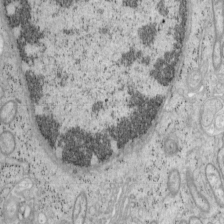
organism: Mouse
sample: OT-I killer T cells with ID8 ovarian cancer cells